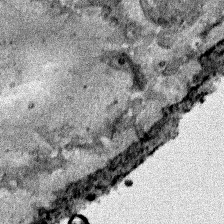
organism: Human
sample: Mitochondria in HCT116 cells